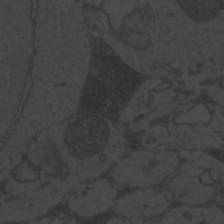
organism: Zebrafish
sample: Macrophage infected with Toxoplasma gondii